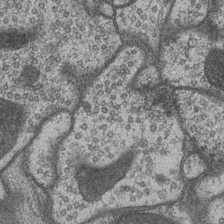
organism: Drosophila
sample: Optic medulla